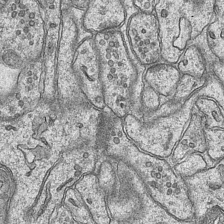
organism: Mouse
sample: CA1 Hippocampus